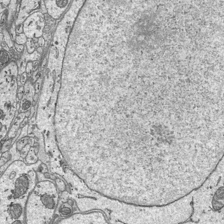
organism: Mouse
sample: Suprachiasmatic nucleus